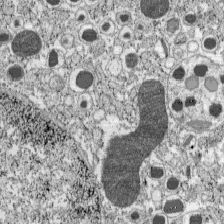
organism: C57BL Mouse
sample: Pancreatic islet